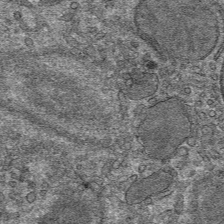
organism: Mouse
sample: Mouse hepatocytes